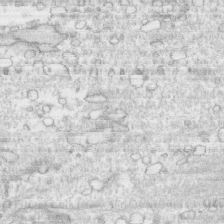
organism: Human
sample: CRL-1474